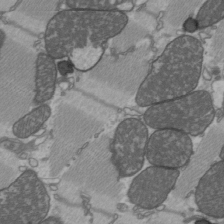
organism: C57BL Mouse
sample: Heart